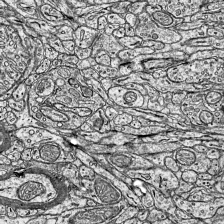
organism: Mouse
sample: Visual Cortex